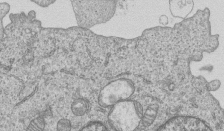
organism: Human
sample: MDA-MB-231 cells